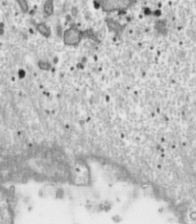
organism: Toxoplasma gondii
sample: Parasites in a vacuole inside a host cell